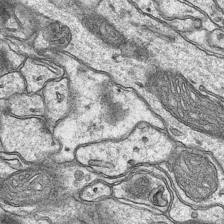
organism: Mouse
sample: CA1 Hippocampus